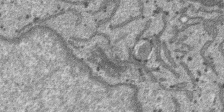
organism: Human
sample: Lung epithelial cells infected with SARS-CoV-2